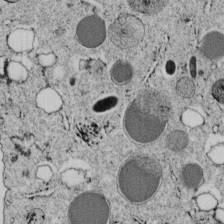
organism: C. elegans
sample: C. elegans embryo early stage